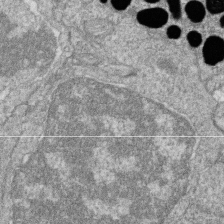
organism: Zebrafish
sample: Cilia; retinal pigment epithelium